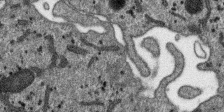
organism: Human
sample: Lung epithelial cells infected with SARS-CoV-2